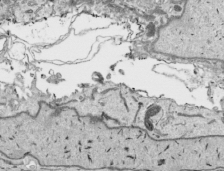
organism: Human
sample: Mitochondria in HCT116 cells